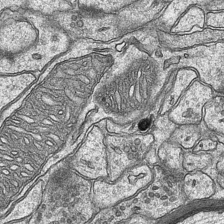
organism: Mouse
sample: CA1 Hippocampus